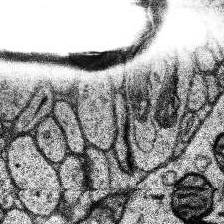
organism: Human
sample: Temporal Lobe